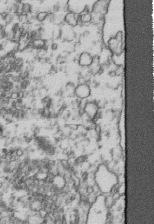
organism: Human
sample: Activated Jurkat CD4+ T cells